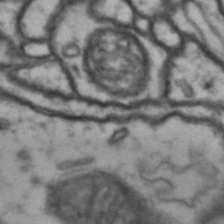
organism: Drosophila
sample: Brain